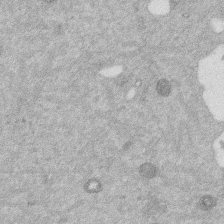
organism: Mouse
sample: Dividing mouse embryo 1 cell stage